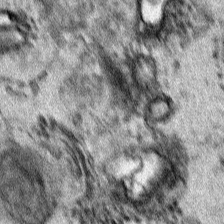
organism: Human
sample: Mitochondria in HCT116 cells